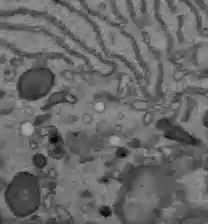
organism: C57BL Mouse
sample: Liver